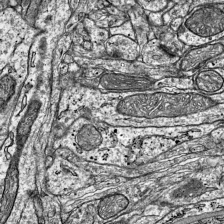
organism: Mouse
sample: Visual Cortex